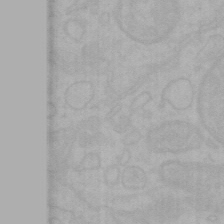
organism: Mouse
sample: Choroid plexus